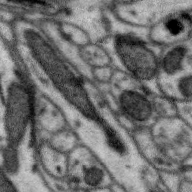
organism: Zebra finch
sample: Brain